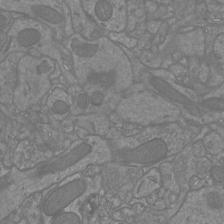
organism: Mouse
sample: Cortical neurons